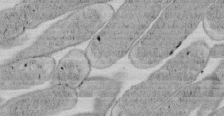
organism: E. coli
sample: Bacterial nucleoid